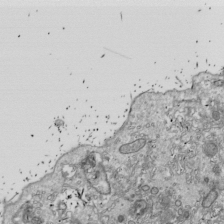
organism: Drosophila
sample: Cell division; meiosis; drosophila spermatocytes